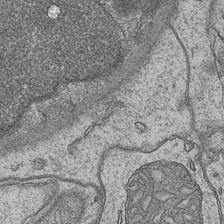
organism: Mouse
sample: CA1 Hippocampus